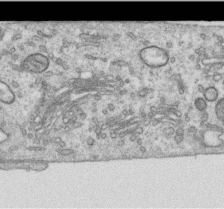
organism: Human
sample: Centriole in RPE cells